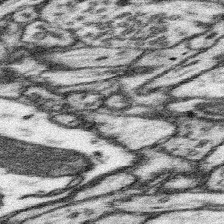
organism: Mouse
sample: Somatosensory cortex neuropil